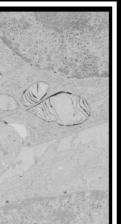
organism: Human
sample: Mitochondria in HCT116 cells